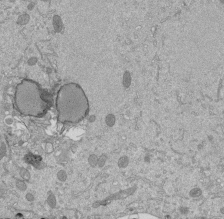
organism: Mouse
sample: ED-1 cell nuclei; centrioles